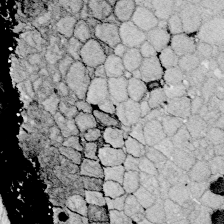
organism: Zebrafish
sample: Whole-Brain